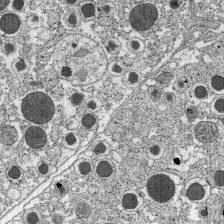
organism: C57BL Mouse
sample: Pancreatic islet